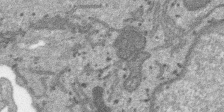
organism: Human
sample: Lung epithelial cells infected with SARS-CoV-2